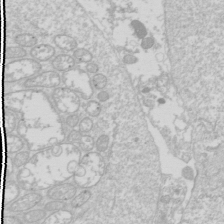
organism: Drosophila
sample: Cell division; meiosis; drosophila spermatocytes